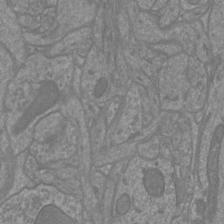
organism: Mouse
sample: Cortical neurons